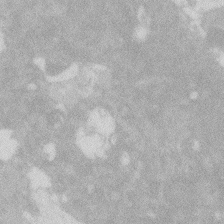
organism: Zebrafish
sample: Macrophage